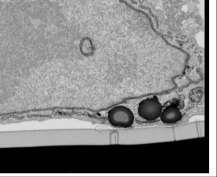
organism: Human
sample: Mitochondria in HCT116 cells